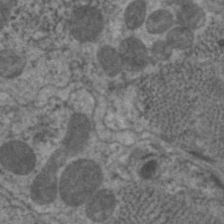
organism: C. elegans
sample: Pharynx